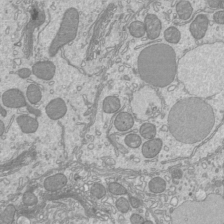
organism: Mouse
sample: Cilia; mouse epididymis